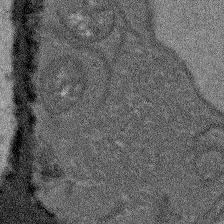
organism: Arabidopsis thaliana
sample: Root tip